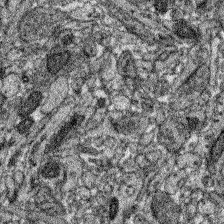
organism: Zebrafish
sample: Larval olfactory bulb